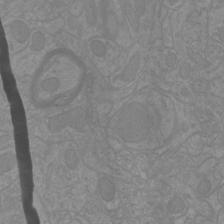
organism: Mouse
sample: Cortical neurons